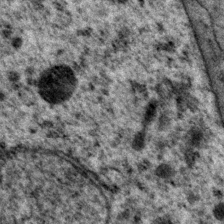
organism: P. pacificus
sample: Pharynx